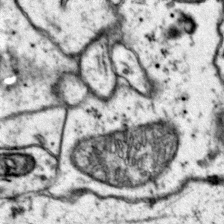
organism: Mouse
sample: Primary visual cortex